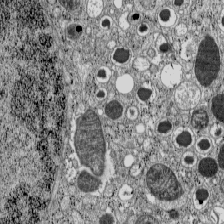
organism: C57BL Mouse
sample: Pancreatic islet